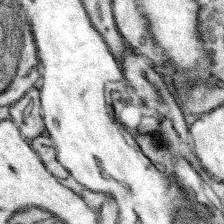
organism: Mouse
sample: Somatosensory cortex neuropil